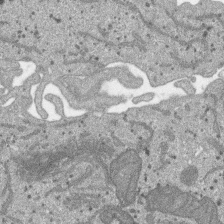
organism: Human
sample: Lung epithelial cells infected with SARS-CoV-2